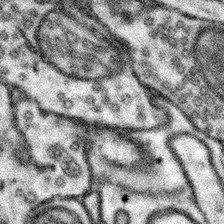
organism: Mouse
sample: Somatosensory cortex neuropil